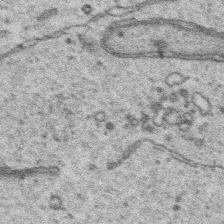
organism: Platynereis dumerilii